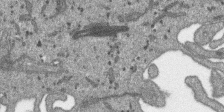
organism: Human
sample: Lung epithelial cells infected with SARS-CoV-2